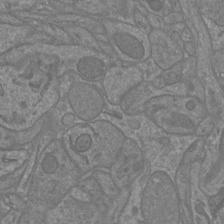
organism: Mouse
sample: Cortical neurons